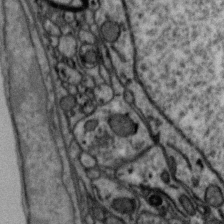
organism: Zebra finch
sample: Brain